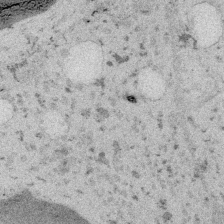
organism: Embia sp.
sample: Silk gland